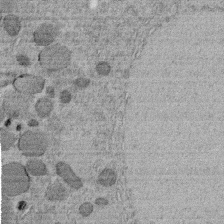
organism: C. elegans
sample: C. elegans embryo early stage